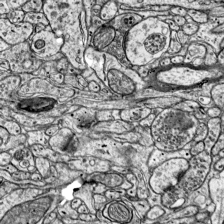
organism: Mouse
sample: Visual Cortex